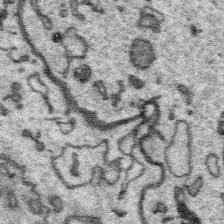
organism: Platynereis dumerilii